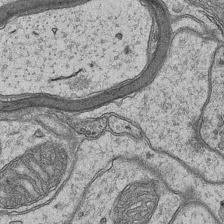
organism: Mouse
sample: CA1 Hippocampus